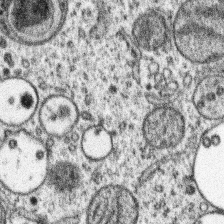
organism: Human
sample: HeLa cells